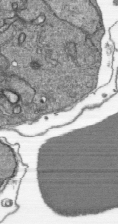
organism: Plasmodium falciparum